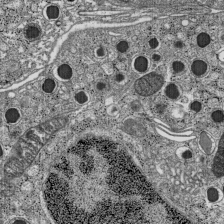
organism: C57BL Mouse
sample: Pancreatic islet